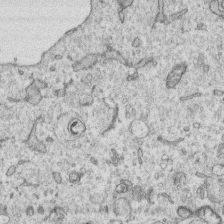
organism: Human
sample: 1205lu cells